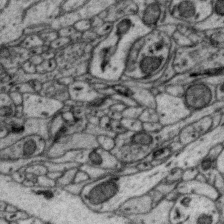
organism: Zebra finch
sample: Brain